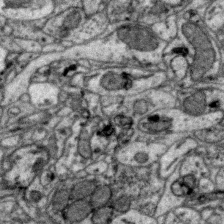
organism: Zebra finch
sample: Brain